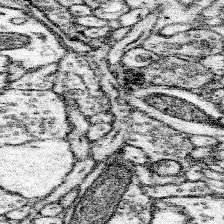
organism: Mouse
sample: Somatosensory cortex neuropil